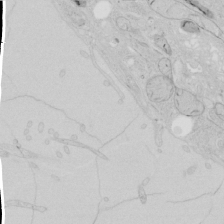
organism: Human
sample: Mitochondria in HCT116 cells